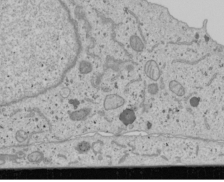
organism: Human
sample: Mitochondria in U2OS cells